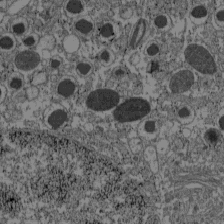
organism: C57BL Mouse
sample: Pancreatic islet